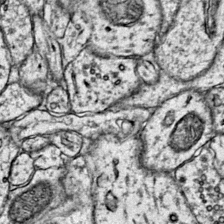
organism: Mouse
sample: Primary visual cortex